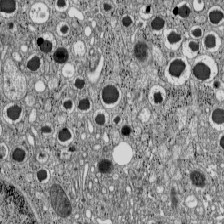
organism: C57BL Mouse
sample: Pancreatic islet